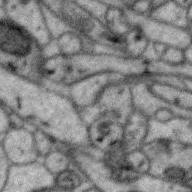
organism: Zebra finch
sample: Brain